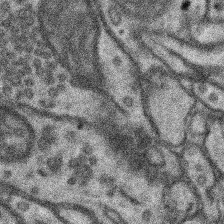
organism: Mouse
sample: Somatosensory cortex neuropil